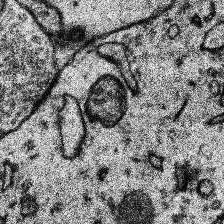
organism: Human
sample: Temporal Lobe